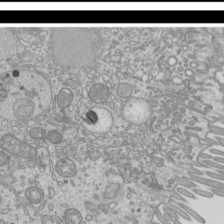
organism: Mouse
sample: Cilia; mouse epididymis